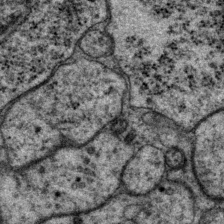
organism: P. pacificus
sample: Pharynx